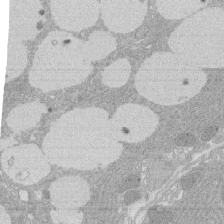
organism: Rat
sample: Salivary granule